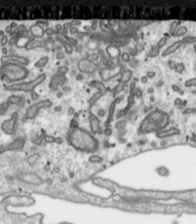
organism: Toxoplasma gondii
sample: Parasites in a vacuole inside a host cell